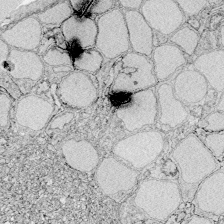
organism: Zebrafish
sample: Whole-Brain